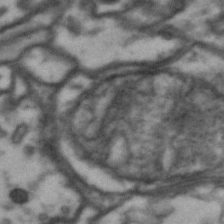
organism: Drosophila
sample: Brain